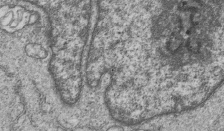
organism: Human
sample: MDA-MB-231 cells